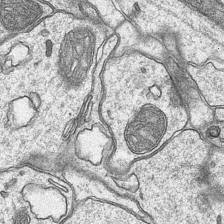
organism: Mouse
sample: CA1 Hippocampus